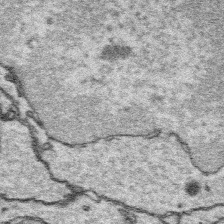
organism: Platynereis dumerilii